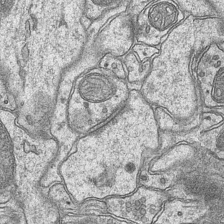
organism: Mouse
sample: CA1 Hippocampus